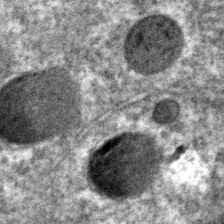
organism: C. elegans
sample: C. elegans embryo